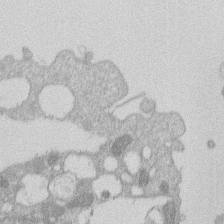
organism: Human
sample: Macrophage cells